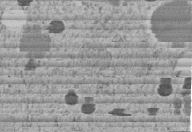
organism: C. elegans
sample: C. elegans embryo early stage